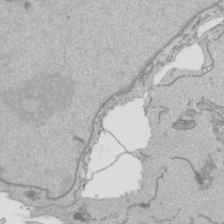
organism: Human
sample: Mitochondria in HCT116 cells